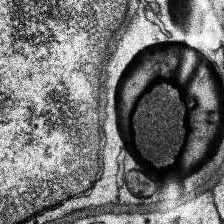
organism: Human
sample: Temporal Lobe